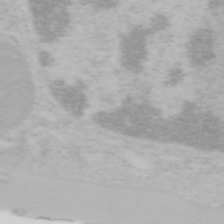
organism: Mouse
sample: OT-I killer T cells with ID8 ovarian cancer cells